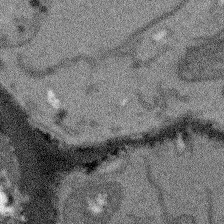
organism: Arabidopsis thaliana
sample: Root tip